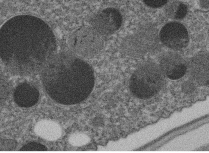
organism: C. elegans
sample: C. elegans embryo early stage